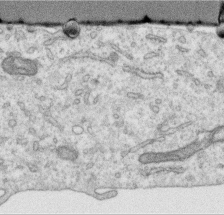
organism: Human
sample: Centriole in RPE cells